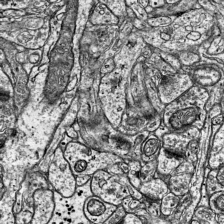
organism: Mouse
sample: Visual Cortex